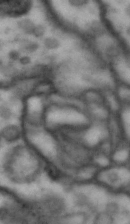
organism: Drosophila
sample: Brain